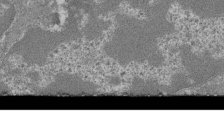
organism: Mouse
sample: Glomerulus